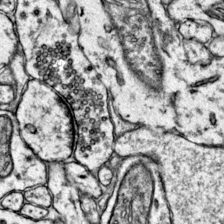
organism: Mouse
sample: Primary visual cortex